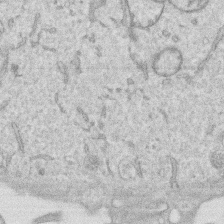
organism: Human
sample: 1205lu cells